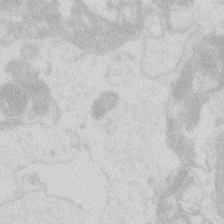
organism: Zebrafish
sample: Macrophage